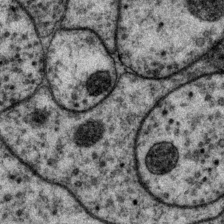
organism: P. pacificus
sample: Pharynx